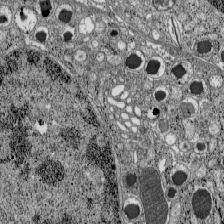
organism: C57BL Mouse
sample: Pancreatic islet